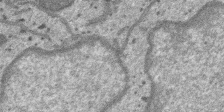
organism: Human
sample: Lung epithelial cells infected with SARS-CoV-2